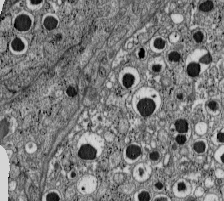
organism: C57BL Mouse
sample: Pancreatic islet